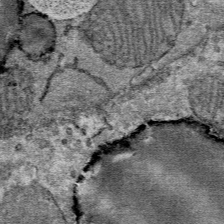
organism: Mouse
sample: Mouse Salivary gland